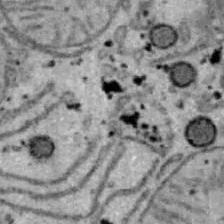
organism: Mouse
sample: Liver from an obese (ob/ob) mouse